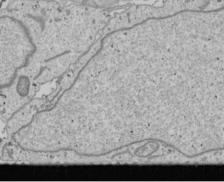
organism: Human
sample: Mitochondria in U2OS cells